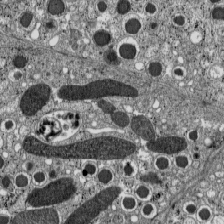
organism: C57BL Mouse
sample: Pancreatic islet